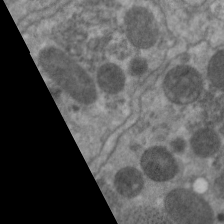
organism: C. elegans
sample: Pharynx